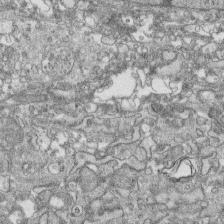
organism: Human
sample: CRL-1474